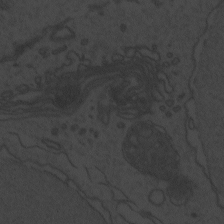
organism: Zebrafish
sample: Macrophage infected with Toxoplasma gondii